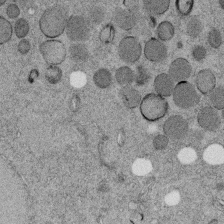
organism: C. elegans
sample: C. elegans embryo early stage